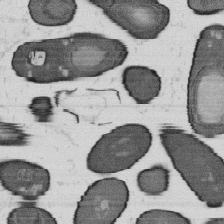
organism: B. subtilis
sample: Bacterial spore